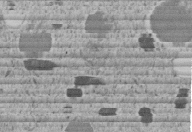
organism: C. elegans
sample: C. elegans embryo early stage